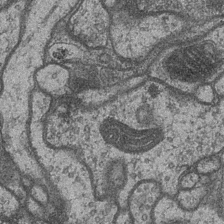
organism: Drosophila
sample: Optic medulla